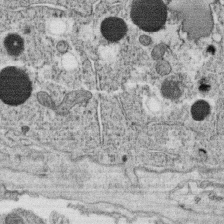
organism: C. elegans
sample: C. elegans oocyte; sperm cells